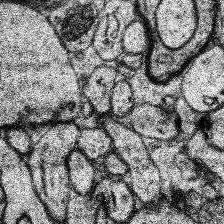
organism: Human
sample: Temporal Lobe